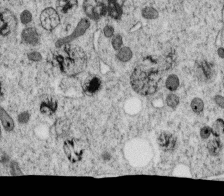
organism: C. elegans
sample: C. elegans oocyte; sperm cells